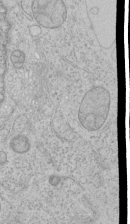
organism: Human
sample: Mitochondria in HCT116 cells